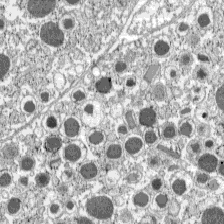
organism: C57BL Mouse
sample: Pancreatic islet